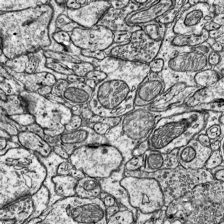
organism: Mouse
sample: Visual Cortex